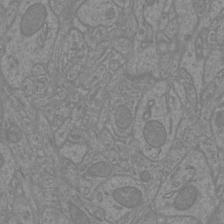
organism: Mouse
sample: Cortical neurons